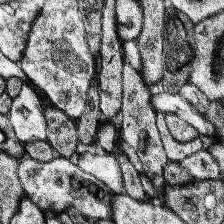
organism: Human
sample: Temporal Lobe